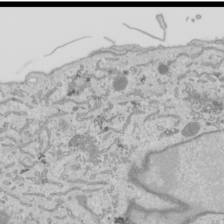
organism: Human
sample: Mitochondria in HCT116 cells